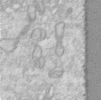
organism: Human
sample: Centriole in RPE cells